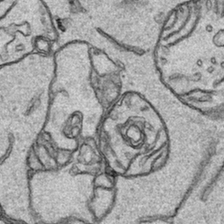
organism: Human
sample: Mitochondria in HCT116 cells